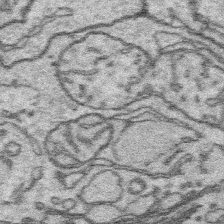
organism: Platynereis dumerilii